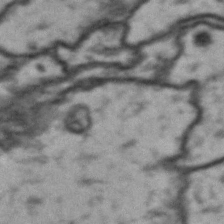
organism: Drosophila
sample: Brain